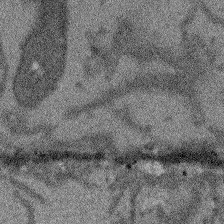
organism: Arabidopsis thaliana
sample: Root tip